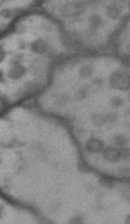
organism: Drosophila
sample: Brain